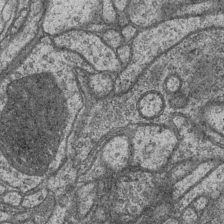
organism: Drosophila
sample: Optic medulla